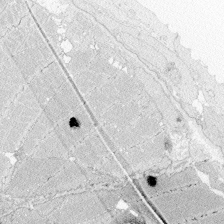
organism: Zebrafish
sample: Whole-Brain